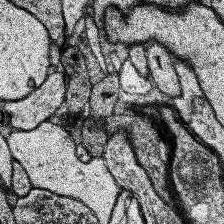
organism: Human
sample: Temporal Lobe